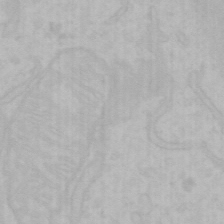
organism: Mouse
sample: Choroid plexus